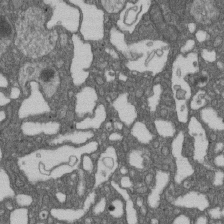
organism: Drosophila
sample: Nephrocyte